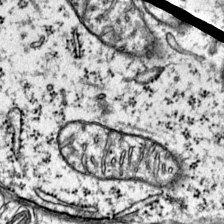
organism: Mouse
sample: Primary visual cortex